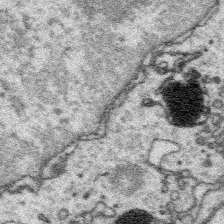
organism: Platynereis dumerilii